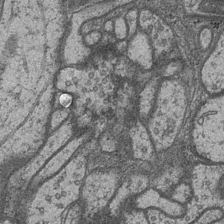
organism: Drosophila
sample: Optic medulla